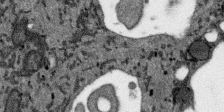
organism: Human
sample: Lung epithelial cells, uninfected (mock) control